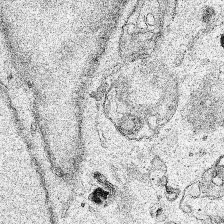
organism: Human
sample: Mitochondria in HCT116 cells